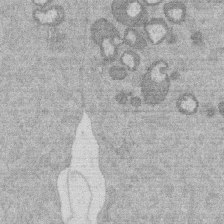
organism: Mouse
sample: Dividing mouse embryo 1 cell stage